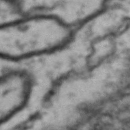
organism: Drosophila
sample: Brain